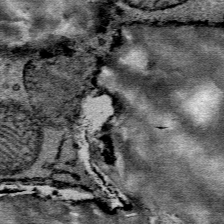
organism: Mouse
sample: Mouse Salivary gland